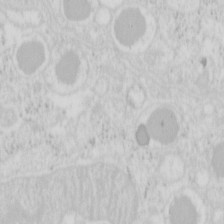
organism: Mouse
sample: Pancreas